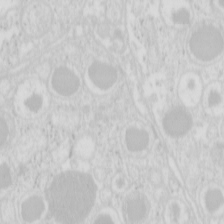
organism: Mouse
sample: Pancreas